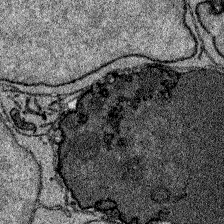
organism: Zebrafish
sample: Larval olfactory bulb